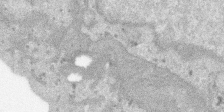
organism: Human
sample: Lung epithelial cells infected with SARS-CoV-2